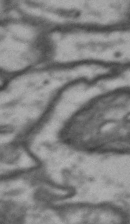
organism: Drosophila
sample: Brain